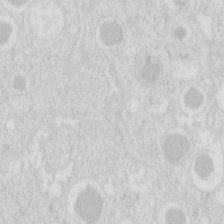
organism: Mouse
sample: Pancreas